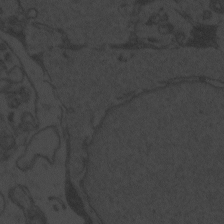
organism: Zebrafish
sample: Macrophage infected with Toxoplasma gondii